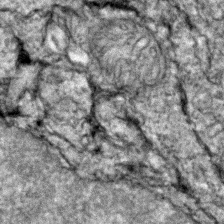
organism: Zebrafish